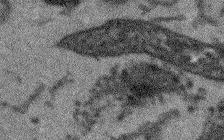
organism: Arabidopsis thaliana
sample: Root tip